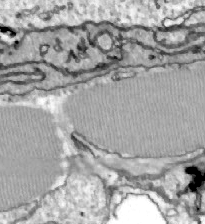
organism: Zebrafish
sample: Actinotrichia fibers